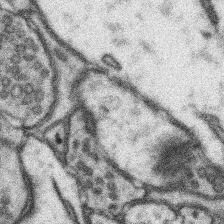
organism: Mouse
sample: Somatosensory cortex neuropil